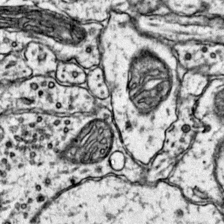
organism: Mouse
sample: Primary visual cortex